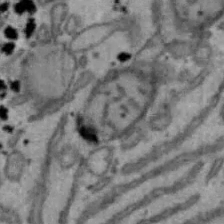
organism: Mouse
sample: Liver